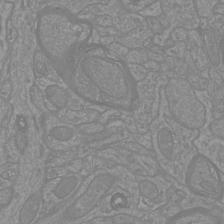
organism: Mouse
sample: Cortical neurons